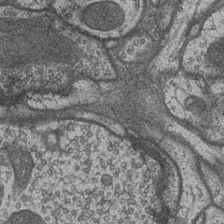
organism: Drosophila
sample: Optic medulla